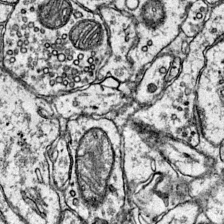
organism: Mouse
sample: Primary visual cortex